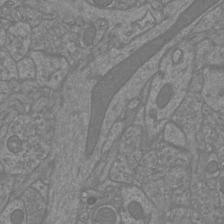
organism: Mouse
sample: Cortical neurons